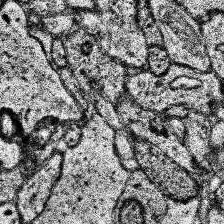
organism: Human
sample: Temporal Lobe